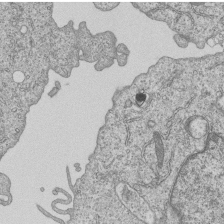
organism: Human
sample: MDA-MB-231 cells